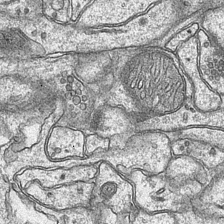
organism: Mouse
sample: CA1 Hippocampus